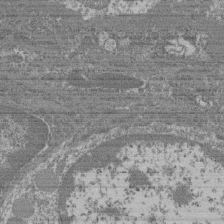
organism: Mouse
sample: Glomerulus